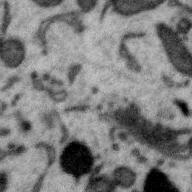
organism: Zebra finch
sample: Brain